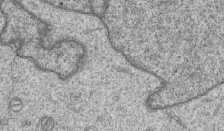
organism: Human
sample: MDA-MB-231 cells